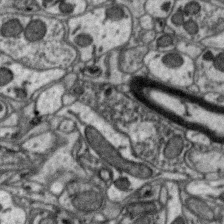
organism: Zebra finch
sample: Brain